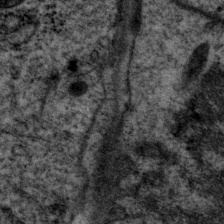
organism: P. pacificus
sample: Pharynx